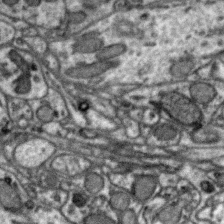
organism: Zebra finch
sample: Brain